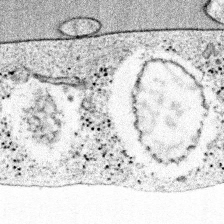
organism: Human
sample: HeLa cells